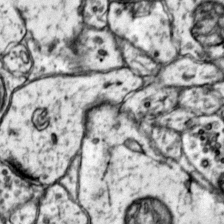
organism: Mouse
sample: Primary visual cortex